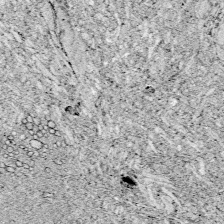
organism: Zebrafish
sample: Whole-Brain